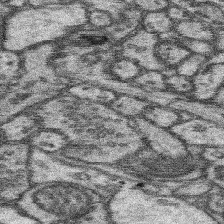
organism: Mouse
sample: Somatosensory cortex neuropil